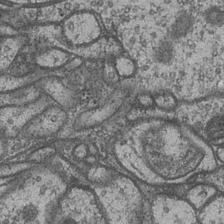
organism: Drosophila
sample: Optic medulla